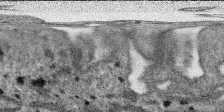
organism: Human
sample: Lung epithelial cells infected with SARS-CoV-2